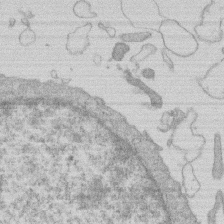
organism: Human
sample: Macrophage cells